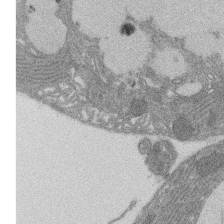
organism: Rat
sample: Salivary granule